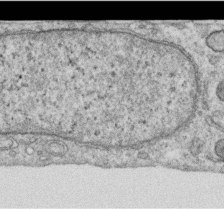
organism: Human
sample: Centriole in RPE cells